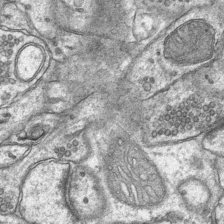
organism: Mouse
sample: CA1 Hippocampus